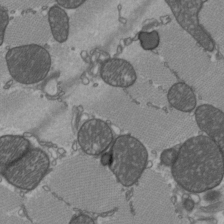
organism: C57BL Mouse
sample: Heart